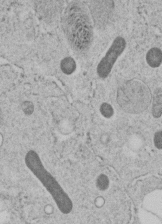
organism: C. elegans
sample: C. elegans embryo early stage